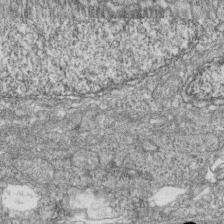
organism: Zebrafish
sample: Cilia; retinal pigment epithelium